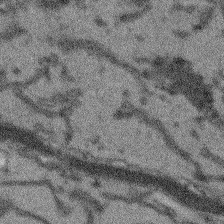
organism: Arabidopsis thaliana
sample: Root tip